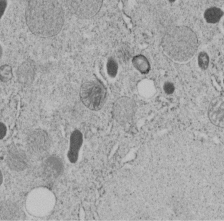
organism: C. elegans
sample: C. elegans embryo early stage